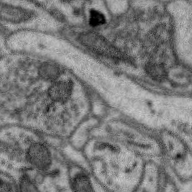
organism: Zebra finch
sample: Brain